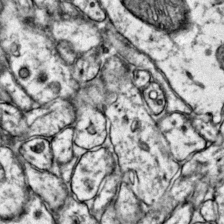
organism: Mouse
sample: Primary visual cortex